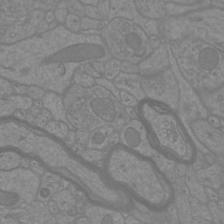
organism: Mouse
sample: Cortical neurons